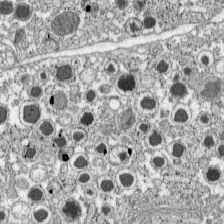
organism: C57BL Mouse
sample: Pancreatic islet